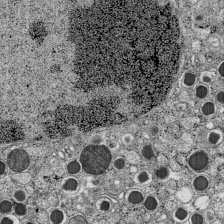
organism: C57BL Mouse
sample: Pancreatic islet